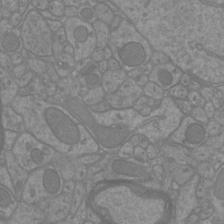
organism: Mouse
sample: Cortical neurons